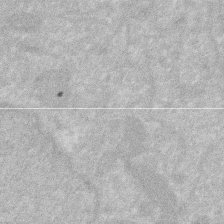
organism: Human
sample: HIV infected U937 cells